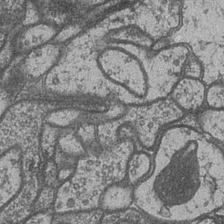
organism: Drosophila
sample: Optic medulla